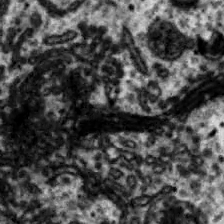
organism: Human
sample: HeLa cells